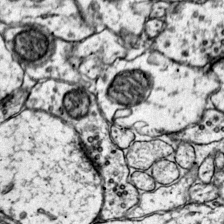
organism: Mouse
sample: Primary visual cortex